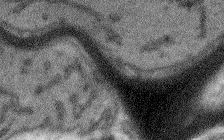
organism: Arabidopsis thaliana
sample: Root tip